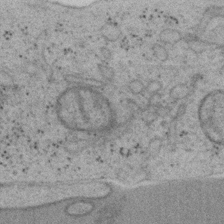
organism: Human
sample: HeLa cells